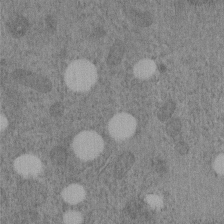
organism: C. elegans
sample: C. elegans embryo early stage